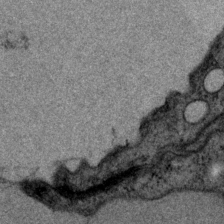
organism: P. pacificus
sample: Pharynx